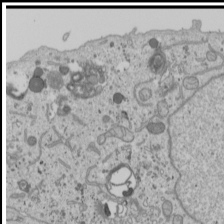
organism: Human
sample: Mitochondria in U2OS cells